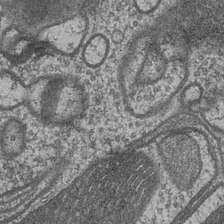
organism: Drosophila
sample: Optic medulla